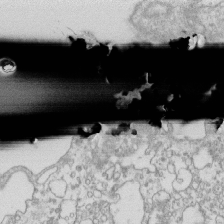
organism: Mouse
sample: Macrophages